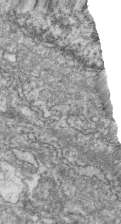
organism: Zebrafish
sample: Cilia; retinal pigment epithelium